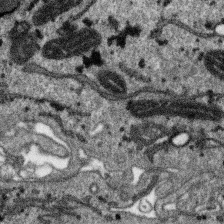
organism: Human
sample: Lung epithelial cells infected with SARS-CoV-2